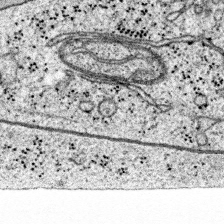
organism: Human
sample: HeLa cells